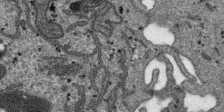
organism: Human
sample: Lung epithelial cells infected with SARS-CoV-2